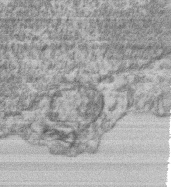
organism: Mouse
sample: T cell stromal cell synapse